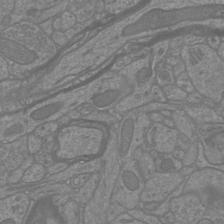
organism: Mouse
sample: Cortical neurons